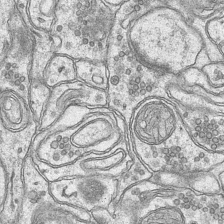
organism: Mouse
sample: CA1 Hippocampus